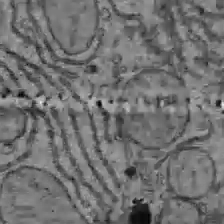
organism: C57BL Mouse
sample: Liver